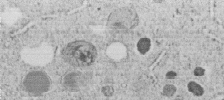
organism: C. elegans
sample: C. elegans embryo early stage